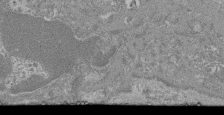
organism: Mouse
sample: Glomerulus